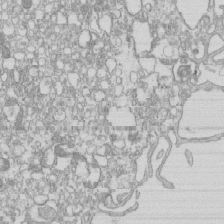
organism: Mouse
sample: Macrophages